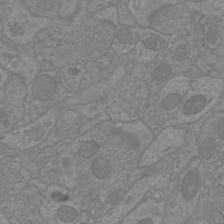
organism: Mouse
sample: Cortical neurons